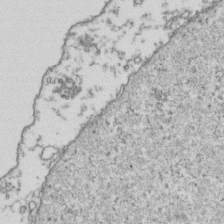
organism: Human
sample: Activated Jurkat CD4+ T cells